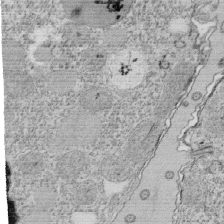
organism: Tetrahymena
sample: Cilia in tetrahymena